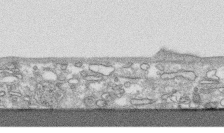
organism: Human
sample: CRL-1474